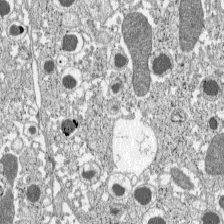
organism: C57BL Mouse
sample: Pancreatic islet